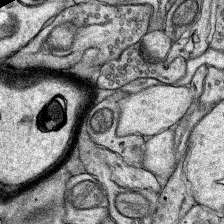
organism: Rat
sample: Hippocampus